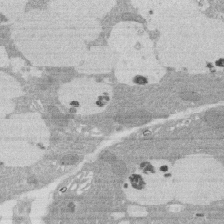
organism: Rat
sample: Salivary granule